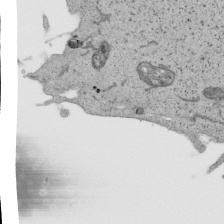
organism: Human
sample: Mitochondria in HCT116 cells